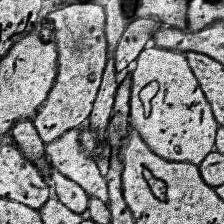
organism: Human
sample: Temporal Lobe